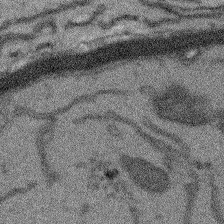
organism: Arabidopsis thaliana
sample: Root tip